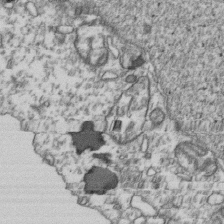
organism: Human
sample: Activated Jurkat CD4+ T cells